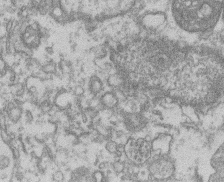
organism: Mouse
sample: T cell stromal cell synapse